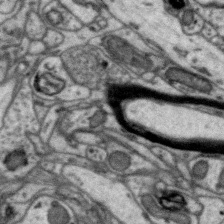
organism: Zebra finch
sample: Brain